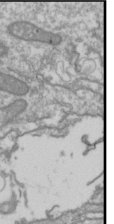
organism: Drosophila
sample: Cell division; meiosis; drosophila spermatocytes